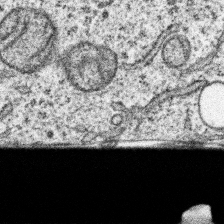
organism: Human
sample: HeLa cells